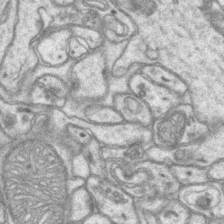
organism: Mouse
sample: CA1 Hippocampus